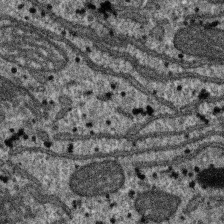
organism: Human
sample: Lung epithelial cells infected with SARS-CoV-2